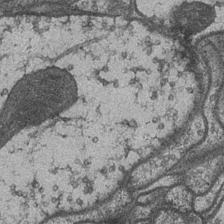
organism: Drosophila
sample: Optic medulla